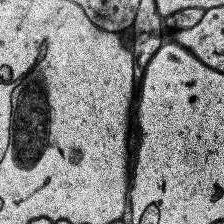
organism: Human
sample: Temporal Lobe